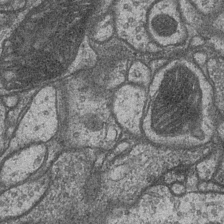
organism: Drosophila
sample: Optic medulla